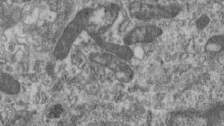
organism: Mouse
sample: Centriole in ependymal cells